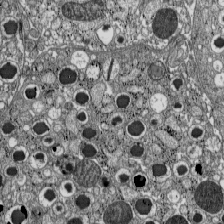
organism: C57BL Mouse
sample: Pancreatic islet